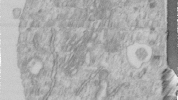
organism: Human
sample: Centriole in RPE cells